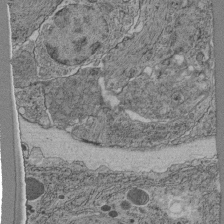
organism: C. elegans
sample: C. elegans pharynx